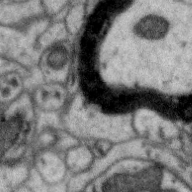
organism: Zebra finch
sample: Brain